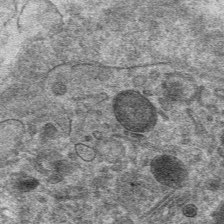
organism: Mouse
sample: Mouse hepatocytes